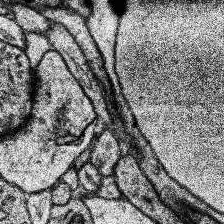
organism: Human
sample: Temporal Lobe